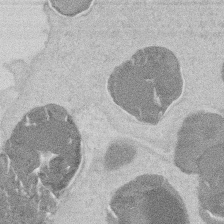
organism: Mouse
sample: T cell stromal cell synapse